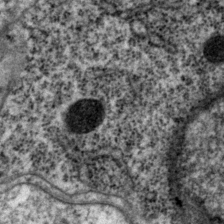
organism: P. pacificus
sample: Pharynx